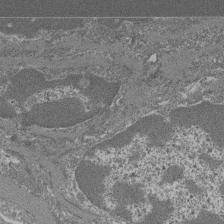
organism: Mouse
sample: Glomerulus